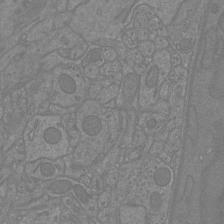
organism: Mouse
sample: Cortical neurons